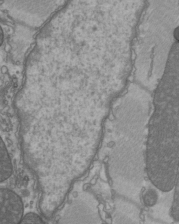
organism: C57BL Mouse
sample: Heart